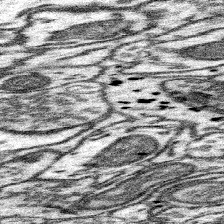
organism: Mouse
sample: Somatosensory cortex neuropil